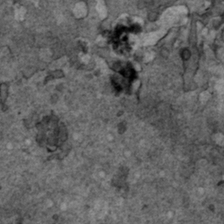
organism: Human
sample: Mitochondria in HCT116 cells